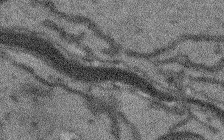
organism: Arabidopsis thaliana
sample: Root tip